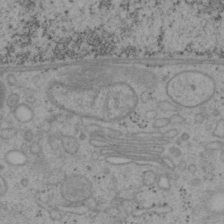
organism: Human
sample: HeLa cells